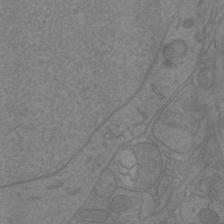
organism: Mouse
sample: Cortical neurons